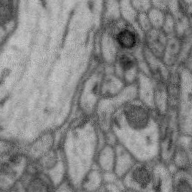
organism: Zebra finch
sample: Brain